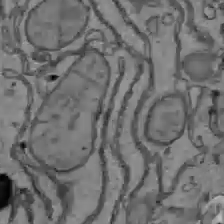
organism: C57BL Mouse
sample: Liver